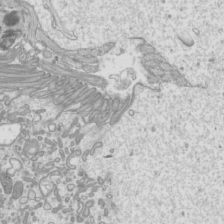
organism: Mouse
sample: Cilia; mouse epididymis